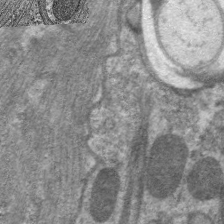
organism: C. elegans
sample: Pharynx